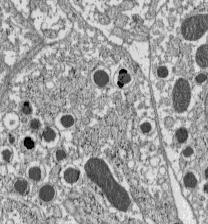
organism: C57BL Mouse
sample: Pancreatic islet